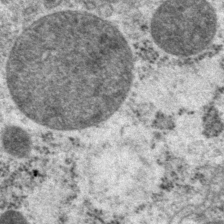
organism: P. pacificus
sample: Pharynx